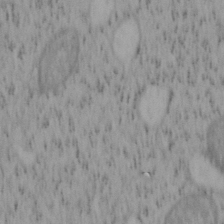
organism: Mouse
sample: OT-I killer T cells with ID8 ovarian cancer cells